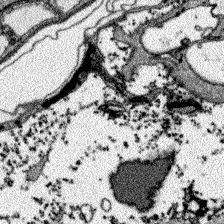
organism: Zebrafish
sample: Larval olfactory bulb